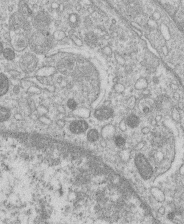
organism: Human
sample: Macrophage cells